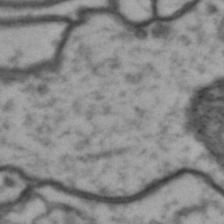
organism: Drosophila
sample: Brain